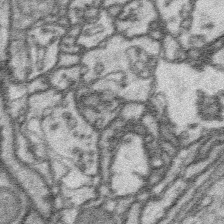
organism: Platynereis dumerilii